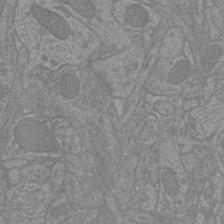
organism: Mouse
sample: Cortical neurons